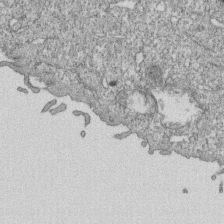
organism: Human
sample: HeLa cell HIV synapse